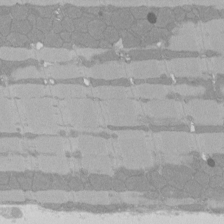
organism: Rat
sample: Left ventricle